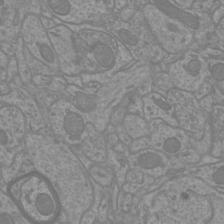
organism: Mouse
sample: Cortical neurons